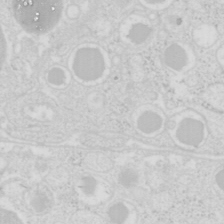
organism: Mouse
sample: Pancreas